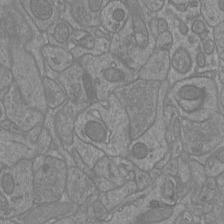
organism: Mouse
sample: Cortical neurons